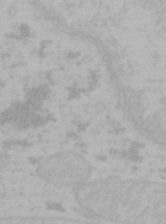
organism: Mouse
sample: Choroid plexus